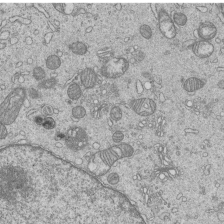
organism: Human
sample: MDA-MB-231 cells